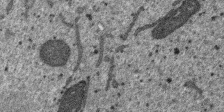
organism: Human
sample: Lung epithelial cells infected with SARS-CoV-2